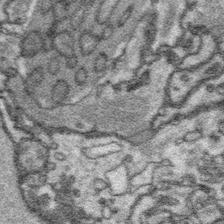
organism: Platynereis dumerilii